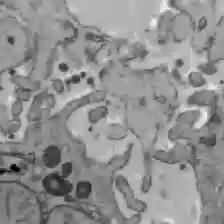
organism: C57BL Mouse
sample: Liver